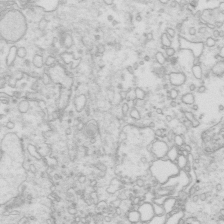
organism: Mouse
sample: Multiciliated cells